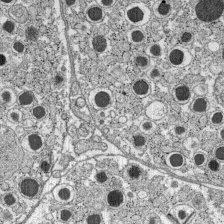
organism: C57BL Mouse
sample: Pancreatic islet